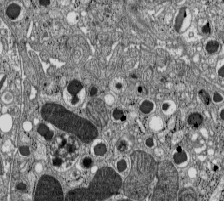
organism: C57BL Mouse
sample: Pancreatic islet